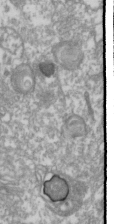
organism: Drosophila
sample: Cell division; meiosis; drosophila spermatocytes